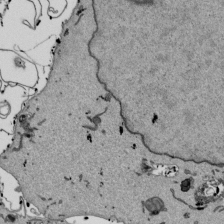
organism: Mouse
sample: ED-1 cell nuclei; centrioles